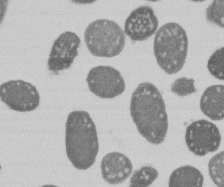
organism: E. coli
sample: Bacterial nucleoid